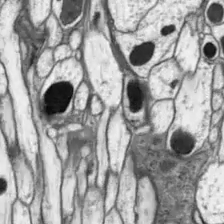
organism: Drosophila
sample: Optic lobe